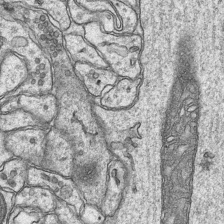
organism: Mouse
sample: CA1 Hippocampus